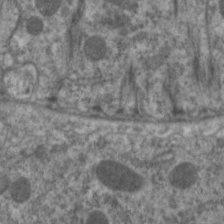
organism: C. elegans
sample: Pharynx